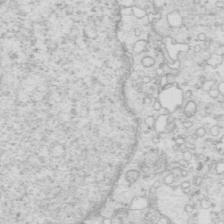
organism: Mouse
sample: Multiciliated cells